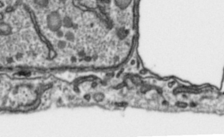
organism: Toxoplasma gondii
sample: Parasites in a vacuole inside a host cell